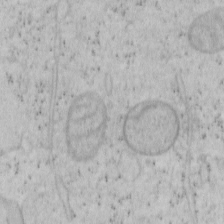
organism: Human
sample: HeLa cells